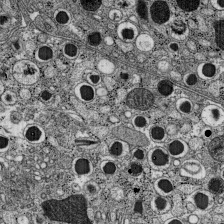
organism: C57BL Mouse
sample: Pancreatic islet